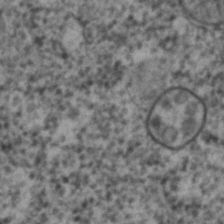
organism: C. elegans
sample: C. elegans embryo